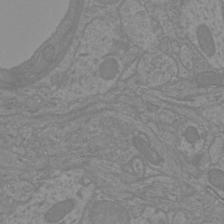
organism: Mouse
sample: Cortical neurons